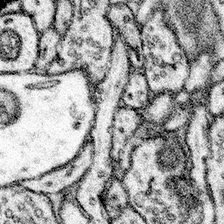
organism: Mouse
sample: Somatosensory cortex neuropil